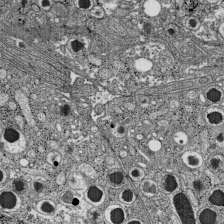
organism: C57BL Mouse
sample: Pancreatic islet